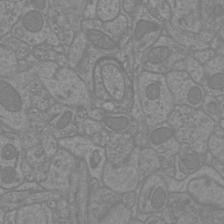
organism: Mouse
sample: Cortical neurons